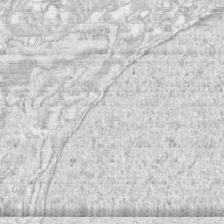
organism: Human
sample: CRL-1474